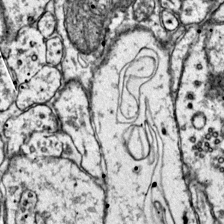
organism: Mouse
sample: Primary visual cortex